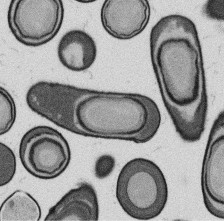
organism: B. subtilis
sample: Bacterial spore